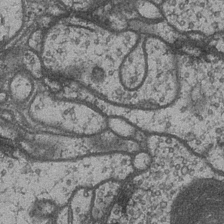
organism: Drosophila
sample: Optic medulla